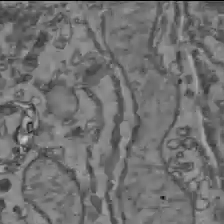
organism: C57BL Mouse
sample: Liver